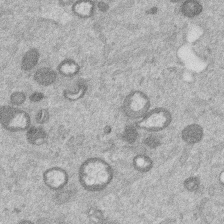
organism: Mouse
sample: Dividing mouse embryo 1 cell stage